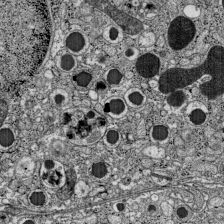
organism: C57BL Mouse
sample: Pancreatic islet